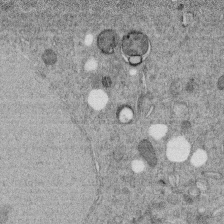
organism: C. elegans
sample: C. elegans embryo early stage